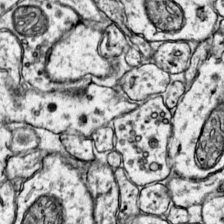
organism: Mouse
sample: Primary visual cortex